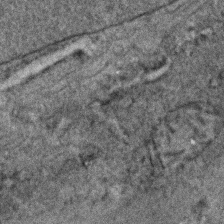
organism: C. elegans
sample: C. elegans embryo